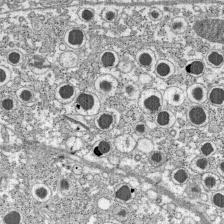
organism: C57BL Mouse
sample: Pancreatic islet